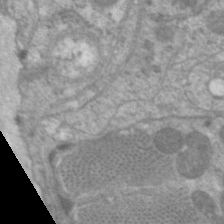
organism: C. elegans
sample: Pharynx